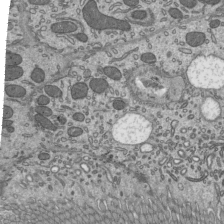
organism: Mouse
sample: Mouse epididymis efferent ductule cilia